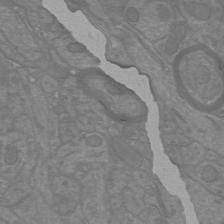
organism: Mouse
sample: Cortical neurons